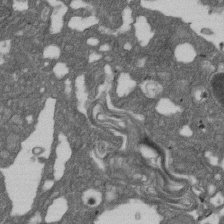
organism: Drosophila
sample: Nephrocyte